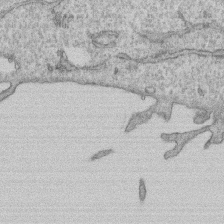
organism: Human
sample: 1205lu cells